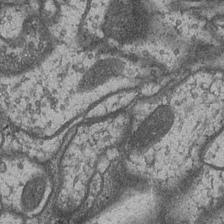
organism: Drosophila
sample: Optic medulla